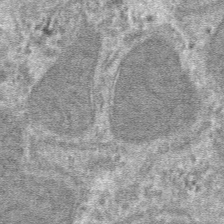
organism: Mouse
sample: Mouse hepatocytes